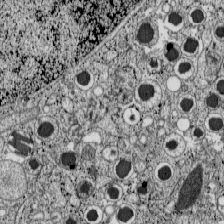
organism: C57BL Mouse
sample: Pancreatic islet